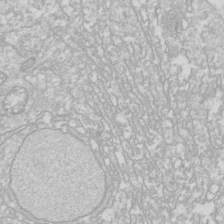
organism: Drosophila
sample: Cell division; meiosis; drosophila spermatocytes